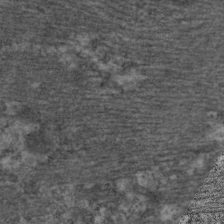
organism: C. elegans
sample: Pharynx